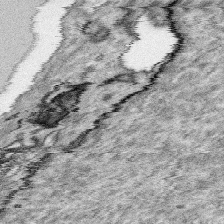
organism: Human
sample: HeLa cells